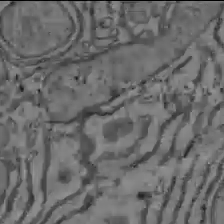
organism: C57BL Mouse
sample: Liver